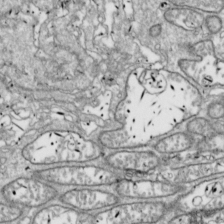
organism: Drosophila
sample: Cell division; meiosis; drosophila spermatocytes